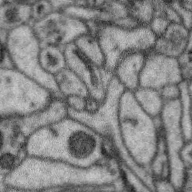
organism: Zebra finch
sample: Brain